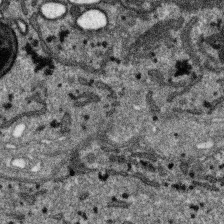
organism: Human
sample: Lung epithelial cells infected with SARS-CoV-2